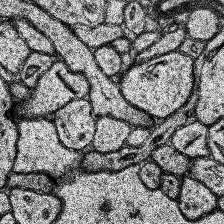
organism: Human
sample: Temporal Lobe